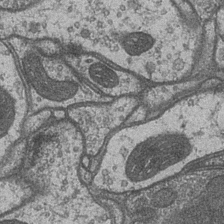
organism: Drosophila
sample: Optic medulla